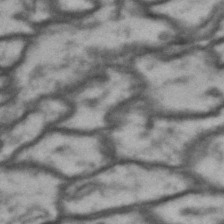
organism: Drosophila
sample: Brain